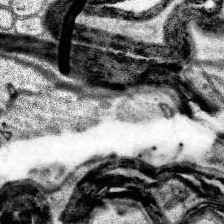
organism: Human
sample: Temporal Lobe